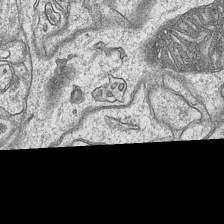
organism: Mouse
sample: CA1 Hippocampus